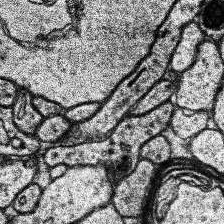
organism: Human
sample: Temporal Lobe